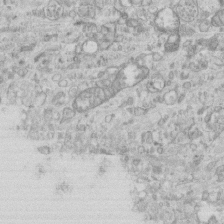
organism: Mouse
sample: Centriole in ependymal cells